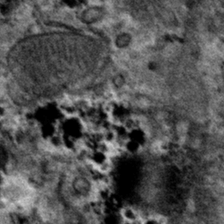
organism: Mouse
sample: Mouse hepatocytes